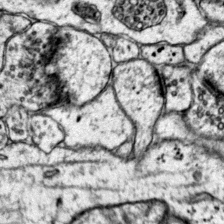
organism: Mouse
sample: Primary visual cortex